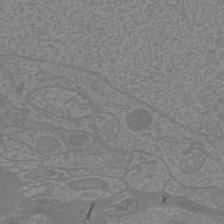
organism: Mouse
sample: Cortical neurons